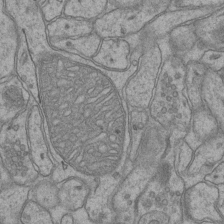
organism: Mouse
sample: CA1 Hippocampus